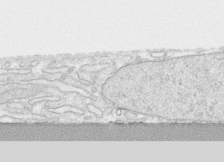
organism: Human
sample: CRL-1474